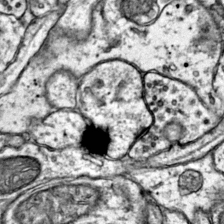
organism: Mouse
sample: Primary visual cortex